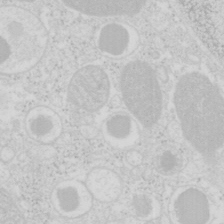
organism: Mouse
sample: Pancreas